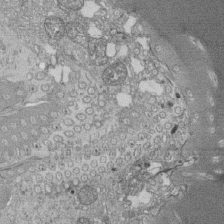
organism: Tetrahymena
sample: Cilia in tetrahymena